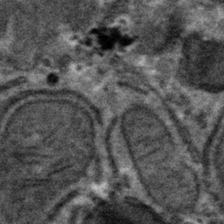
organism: Mouse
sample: Mouse hepatocytes